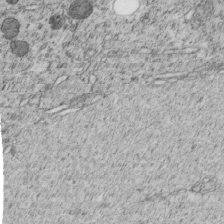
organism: C. elegans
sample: C. elegans embryo early stage